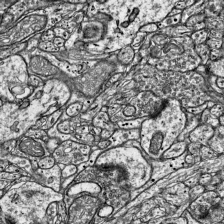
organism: Mouse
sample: Visual Cortex